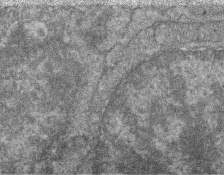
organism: Zebrafish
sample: Cilia; retinal pigment epithelium